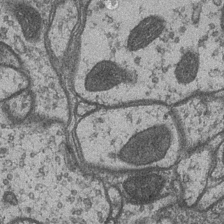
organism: Drosophila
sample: Optic medulla